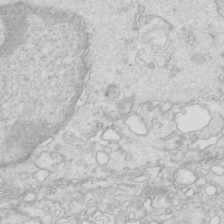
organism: Mouse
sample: Multiciliated cells